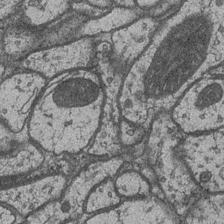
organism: Drosophila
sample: Optic medulla